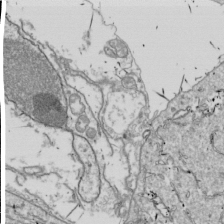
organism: Drosophila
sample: Cell division; meiosis; drosophila spermatocytes